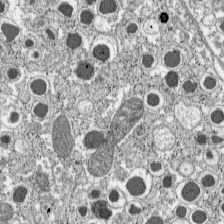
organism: C57BL Mouse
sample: Pancreatic islet